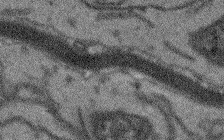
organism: Arabidopsis thaliana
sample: Root tip